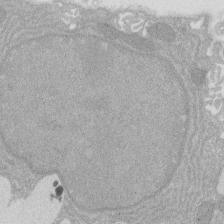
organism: Rat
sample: Salivary granule